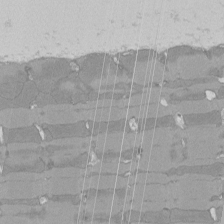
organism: Rat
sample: Left ventricle